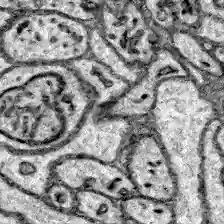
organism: Zebrafish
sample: Brain